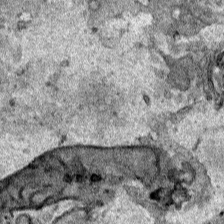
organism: Human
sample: Mitochondria in HCT116 cells